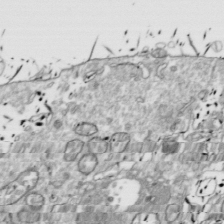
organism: Drosophila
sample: Cell division; meiosis; drosophila spermatocytes